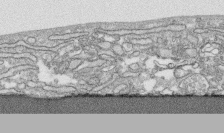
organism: Human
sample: CRL-1474